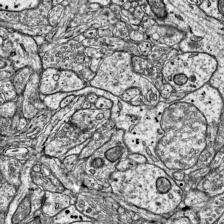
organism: Mouse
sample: Visual Cortex